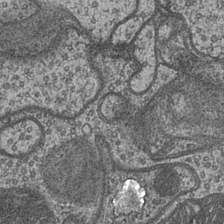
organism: Drosophila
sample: Optic medulla